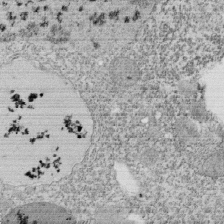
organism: Tetrahymena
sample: Cilia in tetrahymena